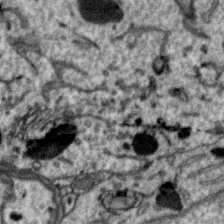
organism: Zebra finch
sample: Brain